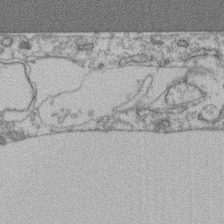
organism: Mouse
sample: T cell stromal cell synapse